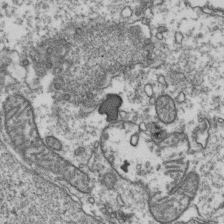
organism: Human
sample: Activated Jurkat CD4+ T cells